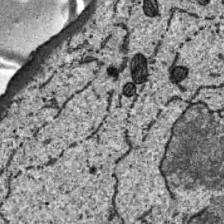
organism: Human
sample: HeLa cells